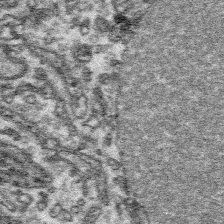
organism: Platynereis dumerilii